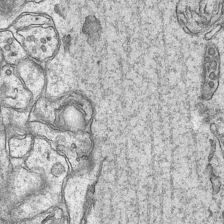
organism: Mouse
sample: CA1 Hippocampus